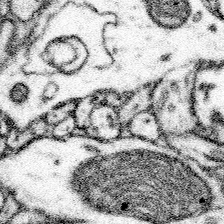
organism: Mouse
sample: Somatosensory cortex neuropil